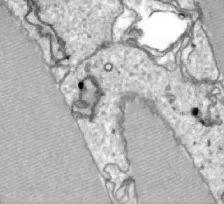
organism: Zebrafish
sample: Actinotrichia fibers